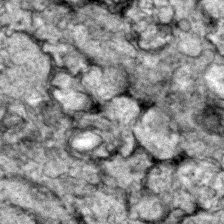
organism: Zebrafish